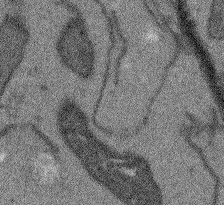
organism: Arabidopsis thaliana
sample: Root tip